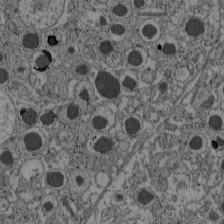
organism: C57BL Mouse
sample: Pancreatic islet